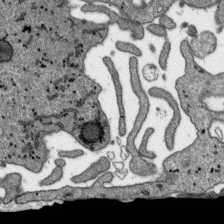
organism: Human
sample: Lung epithelial cells, uninfected (mock) control